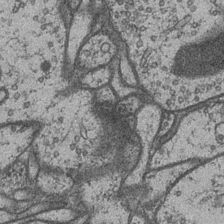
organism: Drosophila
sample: Optic medulla